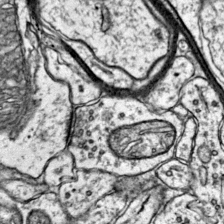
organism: Mouse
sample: Primary visual cortex